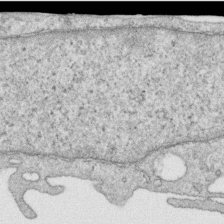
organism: Human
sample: Centriole in RPE cells